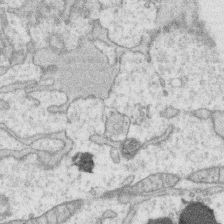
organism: Human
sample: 1205lu cells